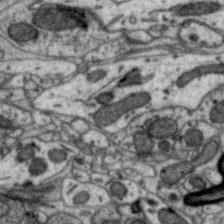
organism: Zebra finch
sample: Brain